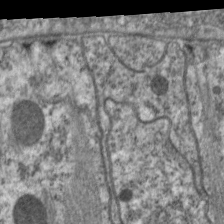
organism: C. elegans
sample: Pharynx